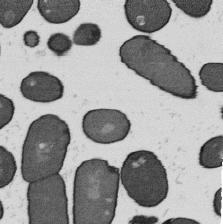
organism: B. subtilis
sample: Bacterial spore